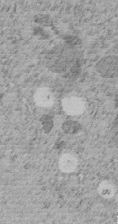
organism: C. elegans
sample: C. elegans embryo early stage